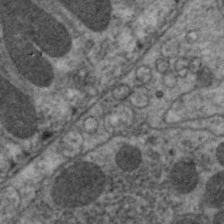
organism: C. elegans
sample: Pharynx